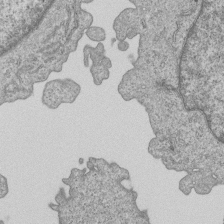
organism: Human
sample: MDA-MB-231 cells